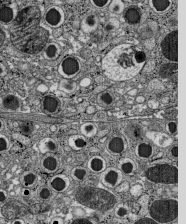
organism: C57BL Mouse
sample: Pancreatic islet